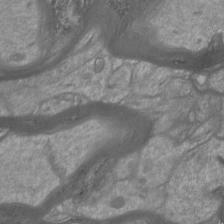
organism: Mouse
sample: Cortical neurons